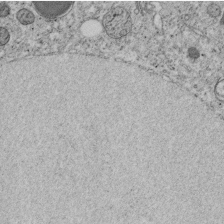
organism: C. elegans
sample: C. elegans embryo early stage